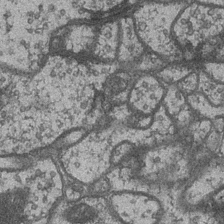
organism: Drosophila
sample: Optic medulla